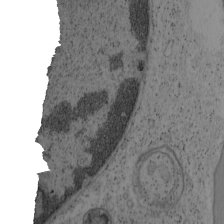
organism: Mouse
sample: OT-I killer T cells with ID8 ovarian cancer cells